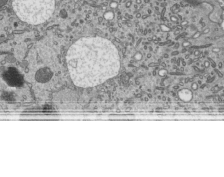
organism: Mouse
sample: Mouse epididymis efferent ductule cilia